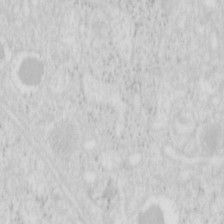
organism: Mouse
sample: Pancreas